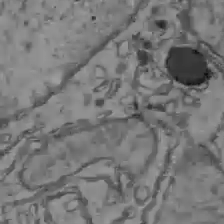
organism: C57BL Mouse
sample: Liver